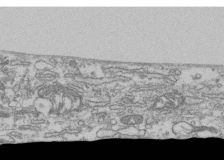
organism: Human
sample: Fibroblast cells